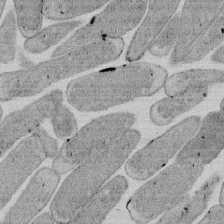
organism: E. coli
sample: Bacterial nucleoid